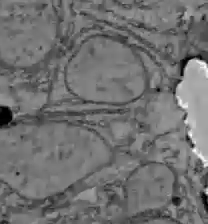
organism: C57BL Mouse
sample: Liver